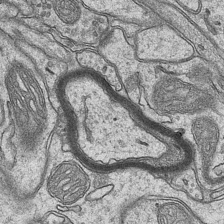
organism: Mouse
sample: CA1 Hippocampus